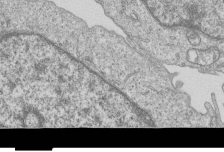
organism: Human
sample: MDA-MB-231 cells